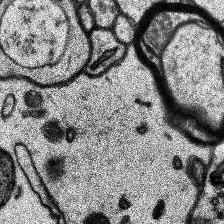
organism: Human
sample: Temporal Lobe